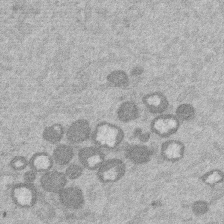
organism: Mouse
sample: Dividing mouse embryo 1 cell stage